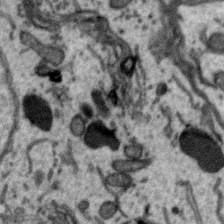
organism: Zebra finch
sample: Brain